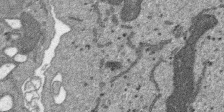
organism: Human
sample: Lung epithelial cells infected with SARS-CoV-2